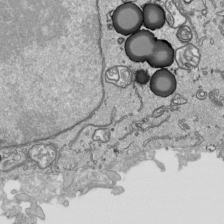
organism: Human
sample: Mitochondria in HCT116 cells